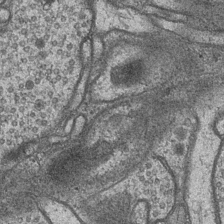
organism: Drosophila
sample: Optic medulla